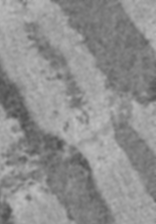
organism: C57BL Mouse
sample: Heart